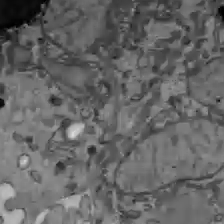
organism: C57BL Mouse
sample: Liver